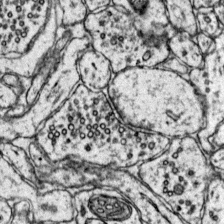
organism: Mouse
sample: Primary visual cortex